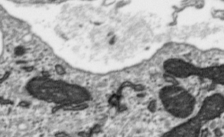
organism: Toxoplasma gondii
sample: Parasites in a vacuole inside a host cell